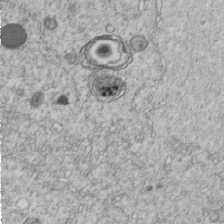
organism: C. elegans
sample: C. elegans embryo early stage